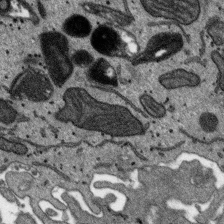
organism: Human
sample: Lung epithelial cells, uninfected (mock) control